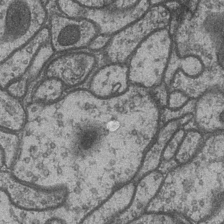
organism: Drosophila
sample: Optic medulla